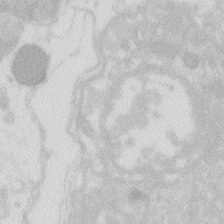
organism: Zebrafish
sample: Macrophage